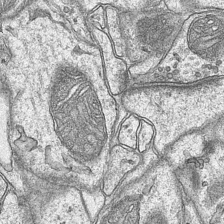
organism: Mouse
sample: CA1 Hippocampus